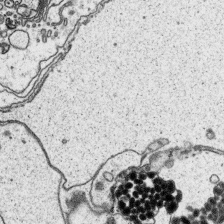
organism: Platynereis dumerilii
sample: Parapodia